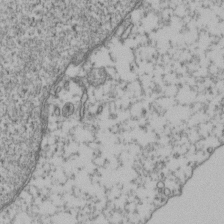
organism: Human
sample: Activated Jurkat CD4+ T cells